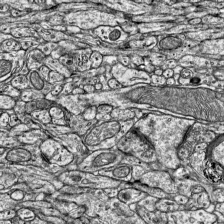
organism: Mouse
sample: Visual Cortex